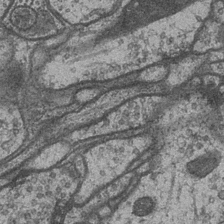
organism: Drosophila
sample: Optic medulla